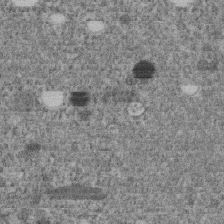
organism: C. elegans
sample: C. elegans embryo early stage